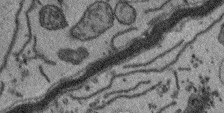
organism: Arabidopsis thaliana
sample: Root tip